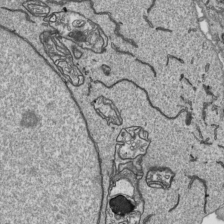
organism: Human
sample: Mitochondria in HCT116 cells